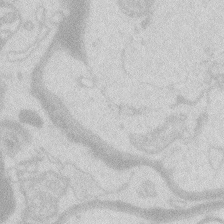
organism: Zebrafish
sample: Macrophage